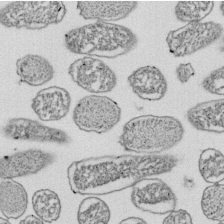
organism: E. coli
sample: Bacterial nucleoid